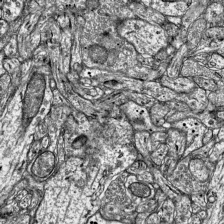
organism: Mouse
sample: Visual Cortex